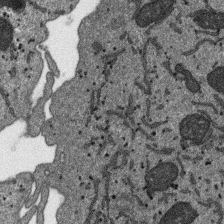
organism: Human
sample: Lung epithelial cells infected with SARS-CoV-2